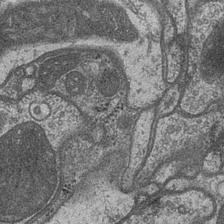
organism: Drosophila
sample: Optic medulla